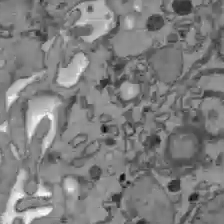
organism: C57BL Mouse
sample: Liver